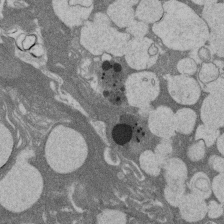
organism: Rat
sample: Salivary granule